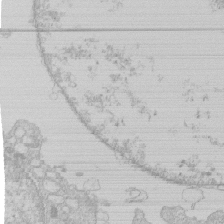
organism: Human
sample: Macrophage cells